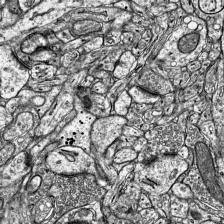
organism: Mouse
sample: Visual Cortex